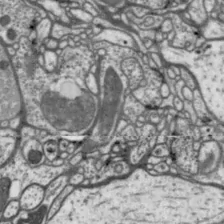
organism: Drosophila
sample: Protocerebral bridge